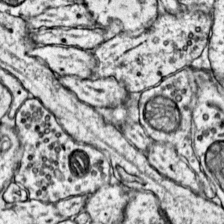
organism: Mouse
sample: Primary visual cortex